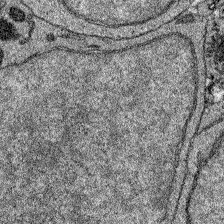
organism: Zebrafish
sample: Larval olfactory bulb